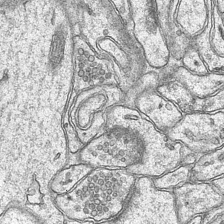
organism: Mouse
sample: CA1 Hippocampus